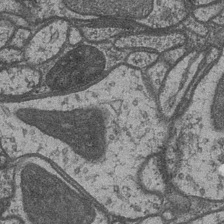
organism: Drosophila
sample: Optic medulla